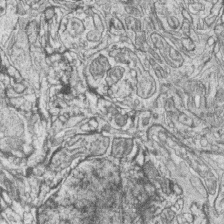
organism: Zebrafish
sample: synaptic ribbons in rod cells and cone cells